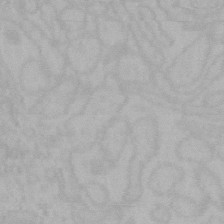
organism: Mouse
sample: Choroid plexus